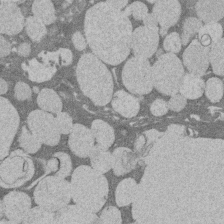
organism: Rat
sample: Salivary granule